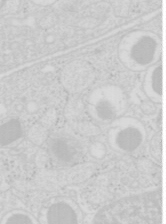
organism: Mouse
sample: Pancreas